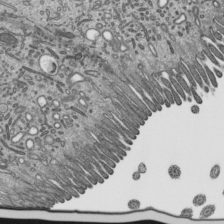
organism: Mouse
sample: Mouse epididymis efferent ductule cilia